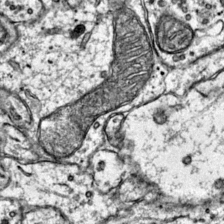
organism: Mouse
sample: Primary visual cortex